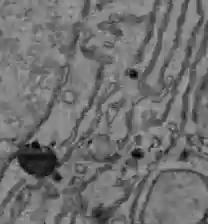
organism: C57BL Mouse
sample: Liver